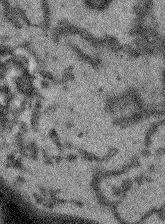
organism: Arabidopsis thaliana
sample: Root tip